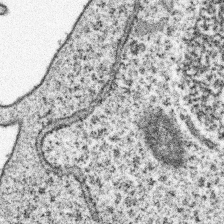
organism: Human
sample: HeLa cells